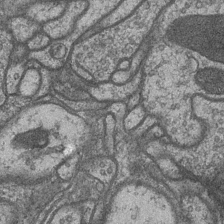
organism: Drosophila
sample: Optic medulla